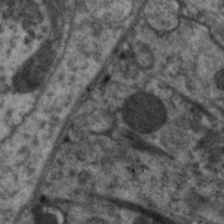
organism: C. elegans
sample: Pharynx